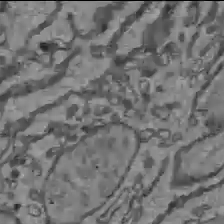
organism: C57BL Mouse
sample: Liver